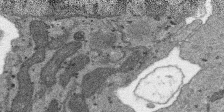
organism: Human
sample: Lung epithelial cells infected with SARS-CoV-2